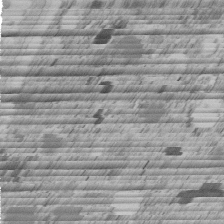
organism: C. elegans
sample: C. elegans embryo early stage